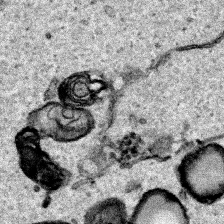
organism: Human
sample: Mitochondria in HCT116 cells